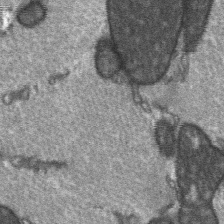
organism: C57BL Mouse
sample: Soleus